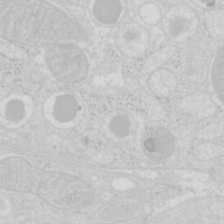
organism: Mouse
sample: Pancreas